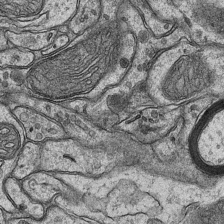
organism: Mouse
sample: CA1 Hippocampus